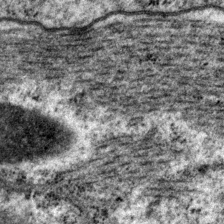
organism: P. pacificus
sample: Pharynx